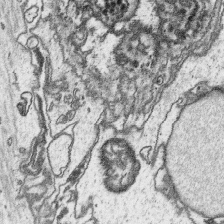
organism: Platynereis dumerilii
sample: Parapodia